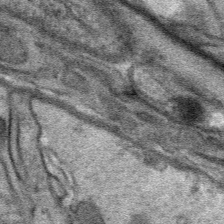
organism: Mouse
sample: Mouse Salivary gland